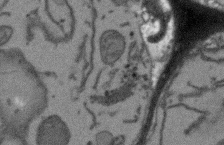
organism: Arabidopsis thaliana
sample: Root tip